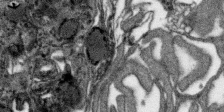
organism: Human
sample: Lung epithelial cells, uninfected (mock) control